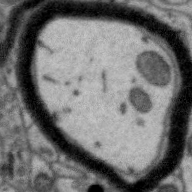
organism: Zebra finch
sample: Brain